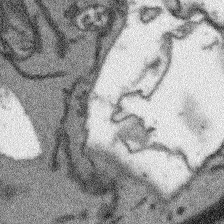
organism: Arabidopsis thaliana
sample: Root tip